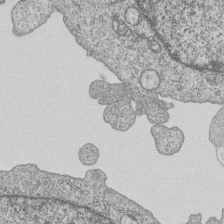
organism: Human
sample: MDA-MB-231 cells